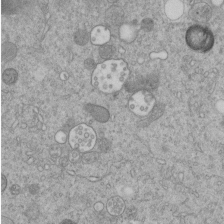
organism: C. elegans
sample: C. elegans embryo early stage